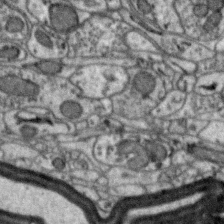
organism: Zebra finch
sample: Brain